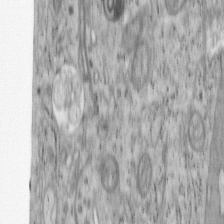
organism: Human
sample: HeLa cells